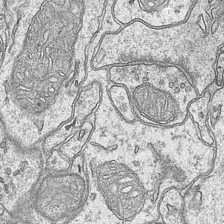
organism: Mouse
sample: CA1 Hippocampus